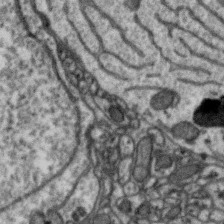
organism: Zebra finch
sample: Brain